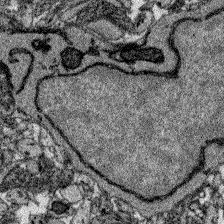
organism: Zebrafish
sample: Larval olfactory bulb